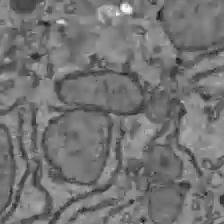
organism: C57BL Mouse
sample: Liver